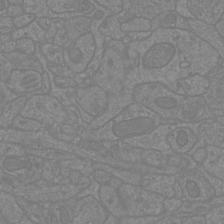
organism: Mouse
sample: Cortical neurons